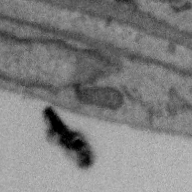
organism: Zebra finch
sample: Brain